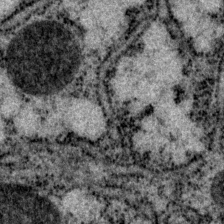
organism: P. pacificus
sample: Pharynx